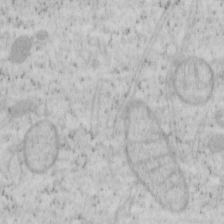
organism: Human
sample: HeLa cells